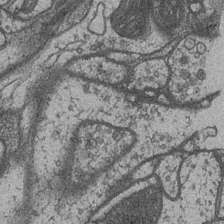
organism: Drosophila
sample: Optic medulla